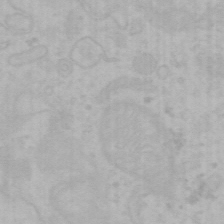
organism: Mouse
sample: Choroid plexus